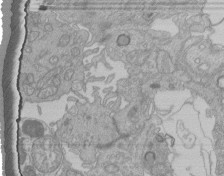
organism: Human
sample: Retinal organoid Rod and Cone cells